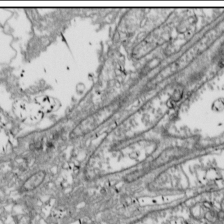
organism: Drosophila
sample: Cell division; meiosis; drosophila spermatocytes